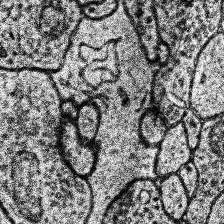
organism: Human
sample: Temporal Lobe